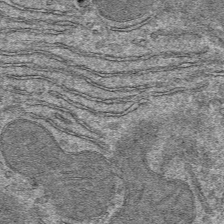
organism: Mouse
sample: Mouse hepatocytes